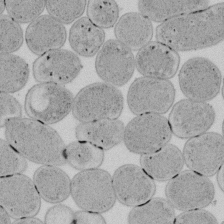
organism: E. coli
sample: Bacterial nucleoid